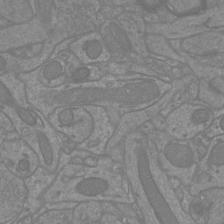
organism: Mouse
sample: Cortical neurons